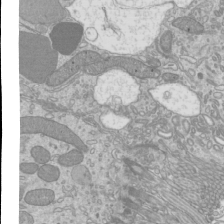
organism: Mouse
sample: Cilia; mouse epididymis